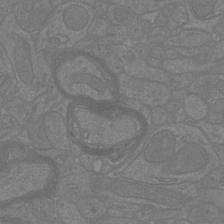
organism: Mouse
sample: Cortical neurons